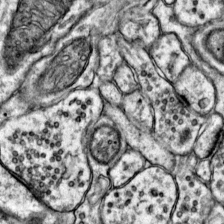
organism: Mouse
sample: Primary visual cortex